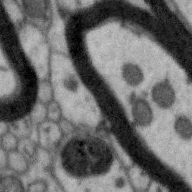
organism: Zebra finch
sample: Brain